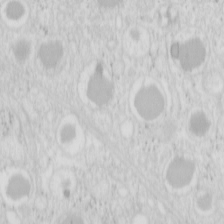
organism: Mouse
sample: Pancreas